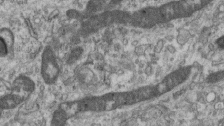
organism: Mouse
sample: Centriole in ependymal cells